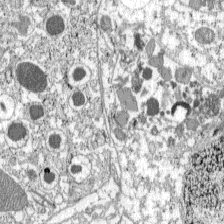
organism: C57BL Mouse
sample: Pancreatic islet